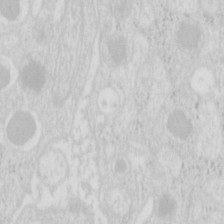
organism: Mouse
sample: Pancreas